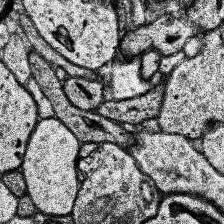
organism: Human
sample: Temporal Lobe